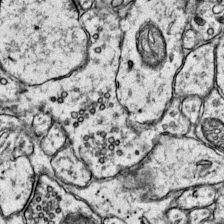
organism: Mouse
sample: Primary visual cortex